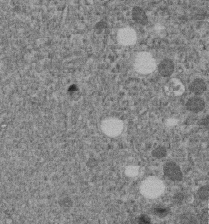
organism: C. elegans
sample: C. elegans embryo early stage